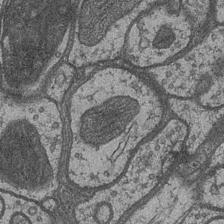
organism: Drosophila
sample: Optic medulla